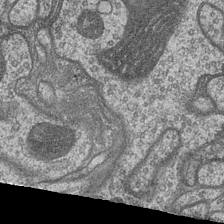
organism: Drosophila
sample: Optic medulla